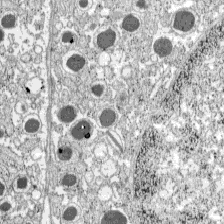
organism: C57BL Mouse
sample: Pancreatic islet